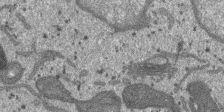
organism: Human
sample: Lung epithelial cells infected with SARS-CoV-2